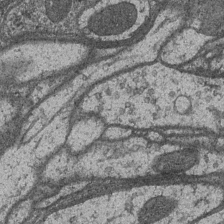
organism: Drosophila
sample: Optic medulla